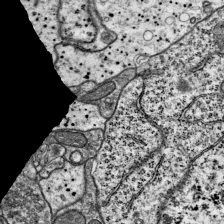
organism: Mouse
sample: Visual Cortex